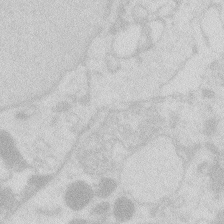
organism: Zebrafish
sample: Macrophage